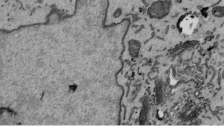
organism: Mouse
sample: ED-1 cell nuclei; centrioles